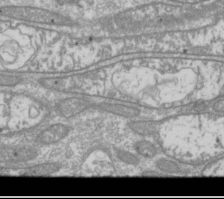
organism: Drosophila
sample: Cell division; meiosis; drosophila spermatocytes